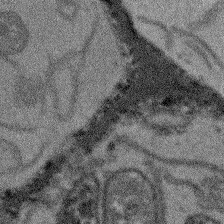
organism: Arabidopsis thaliana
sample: Root tip